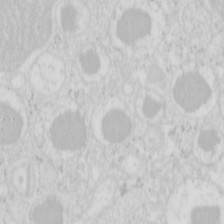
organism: Mouse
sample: Pancreas